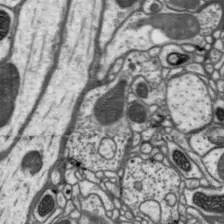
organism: Drosophila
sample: Protocerebral bridge